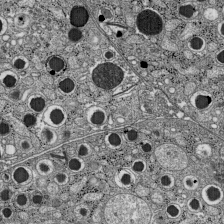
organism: C57BL Mouse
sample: Pancreatic islet